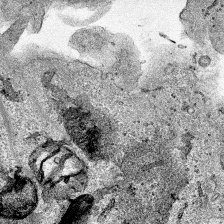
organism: Human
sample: Mitochondria in HCT116 cells